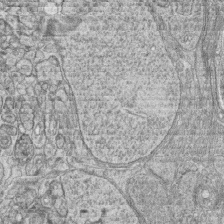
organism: Zebrafish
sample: synaptic ribbons in rod cells and cone cells